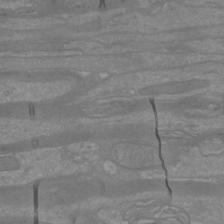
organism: Mouse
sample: Cortical neurons